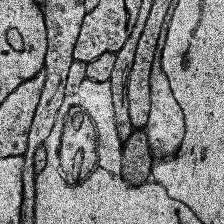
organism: Human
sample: Temporal Lobe